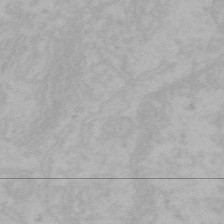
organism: Mouse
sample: Choroid plexus